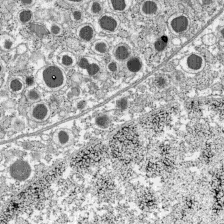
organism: C57BL Mouse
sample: Pancreatic islet